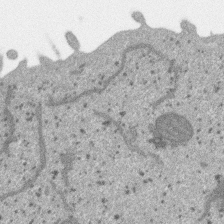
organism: Human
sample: Lung epithelial cells infected with SARS-CoV-2